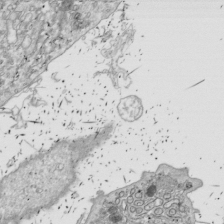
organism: Drosophila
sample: Cell division; meiosis; drosophila spermatocytes